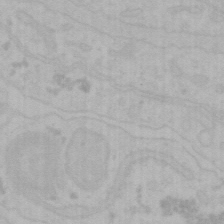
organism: Mouse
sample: Choroid plexus